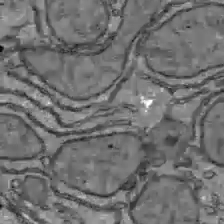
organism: C57BL Mouse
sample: Liver